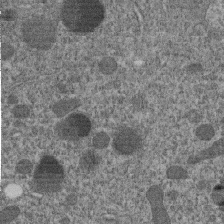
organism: C. elegans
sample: C. elegans embryo early stage